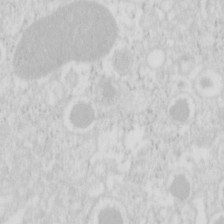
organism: Mouse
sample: Pancreas